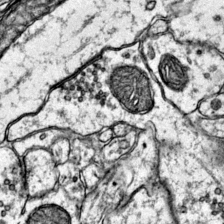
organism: Mouse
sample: Primary visual cortex